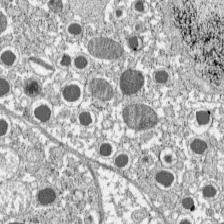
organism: C57BL Mouse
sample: Pancreatic islet